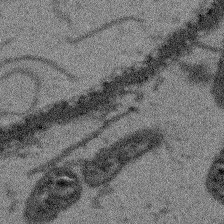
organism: Arabidopsis thaliana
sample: Root tip